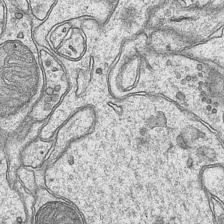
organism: Mouse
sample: CA1 Hippocampus